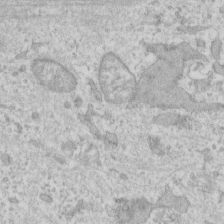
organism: Human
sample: Fibroblast cells